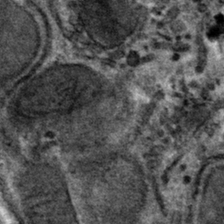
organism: Mouse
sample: Mouse hepatocytes